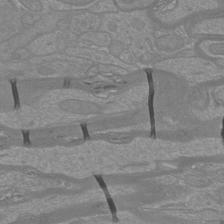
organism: Mouse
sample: Cortical neurons